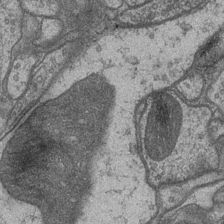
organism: Drosophila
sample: Optic medulla